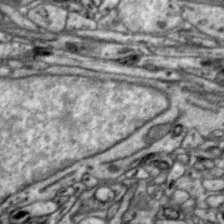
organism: Zebra finch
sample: Brain